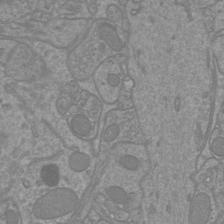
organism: Mouse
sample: Cortical neurons